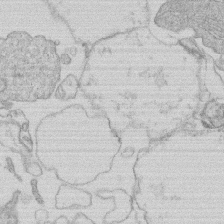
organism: Human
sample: Macrophage cells